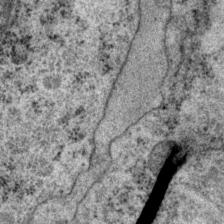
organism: P. pacificus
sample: Pharynx